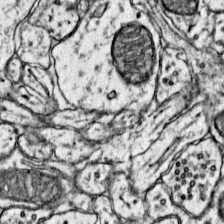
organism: Mouse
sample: Primary visual cortex